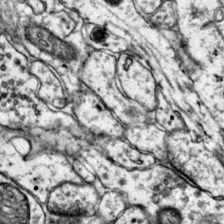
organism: Mouse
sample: Primary visual cortex